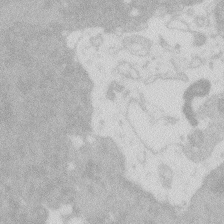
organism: Zebrafish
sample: Macrophage